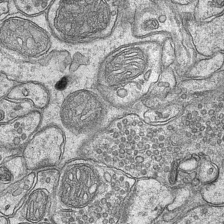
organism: Mouse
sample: CA1 Hippocampus